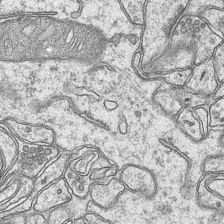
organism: Mouse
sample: CA1 Hippocampus